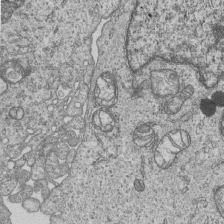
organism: Human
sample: MDA-MB-231 cells